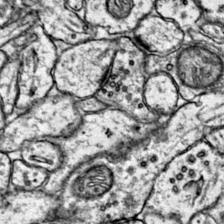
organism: Mouse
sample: Primary visual cortex